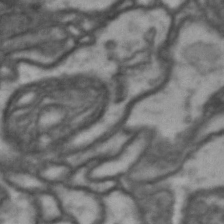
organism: Drosophila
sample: Brain